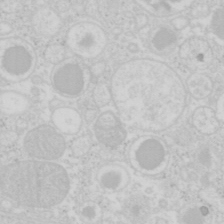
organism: Mouse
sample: Pancreas